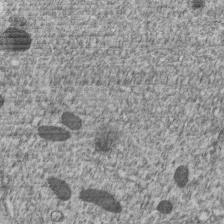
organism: C. elegans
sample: C. elegans embryo early stage